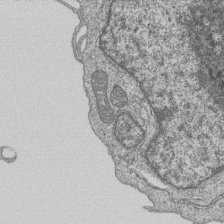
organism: Human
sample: MDA-MB-231 cells